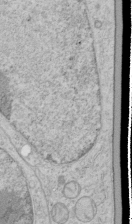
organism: Human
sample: Mitochondria in HCT116 cells